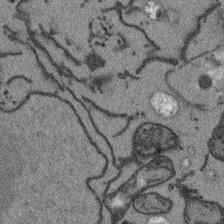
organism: Arabidopsis thaliana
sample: Root tip